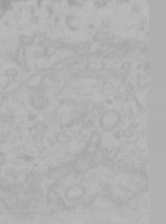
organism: Mouse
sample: Choroid plexus